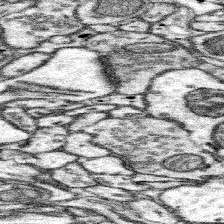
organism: Mouse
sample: Somatosensory cortex neuropil